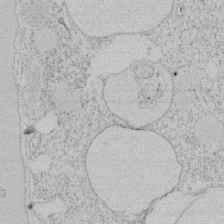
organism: Tetrahymena